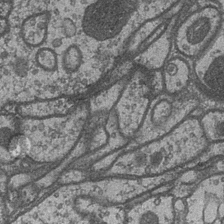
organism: Drosophila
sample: Optic medulla